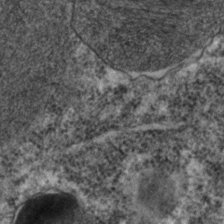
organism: C. elegans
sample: C. elegans embryo